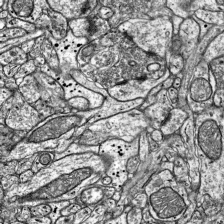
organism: Mouse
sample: Visual Cortex